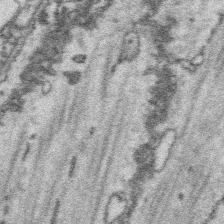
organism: Platynereis dumerilii